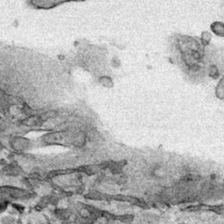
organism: Human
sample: Mitochondria in HCT116 cells